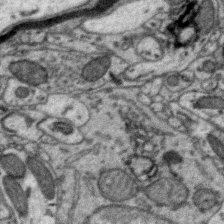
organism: Zebra finch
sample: Brain